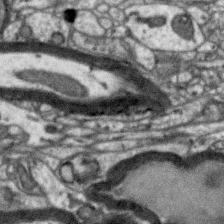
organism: Zebra finch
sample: Brain